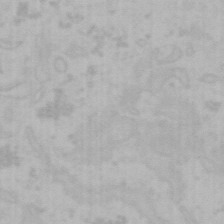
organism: Mouse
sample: Choroid plexus